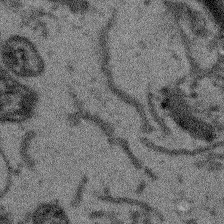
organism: Arabidopsis thaliana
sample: Root tip